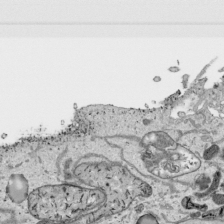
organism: Human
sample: Mitochondria in HCT116 cells